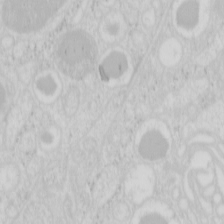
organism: Mouse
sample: Pancreas